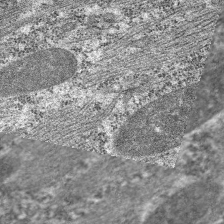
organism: C. elegans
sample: Pharynx